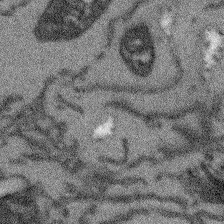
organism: Arabidopsis thaliana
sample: Root tip